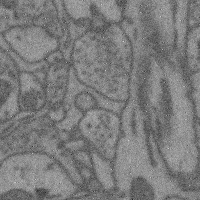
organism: Mouse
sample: Cerebral cortex